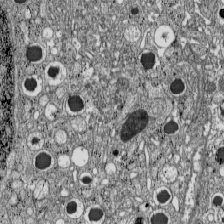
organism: C57BL Mouse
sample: Pancreatic islet